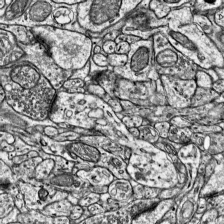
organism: Mouse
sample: Visual Cortex